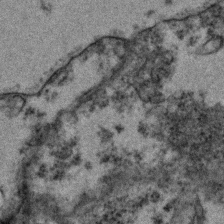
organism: Zebrafish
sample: Zebrafish embryo